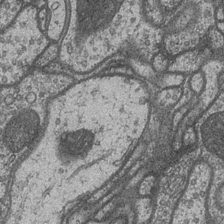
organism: Drosophila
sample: Optic medulla